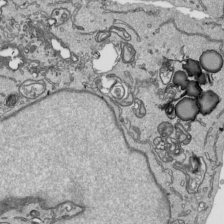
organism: Human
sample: Mitochondria in HCT116 cells